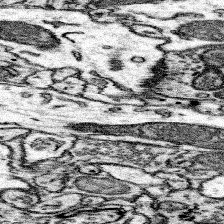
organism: Mouse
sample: Somatosensory cortex neuropil